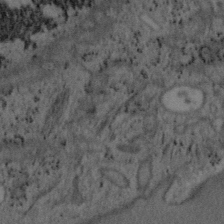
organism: Human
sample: HeLa cells